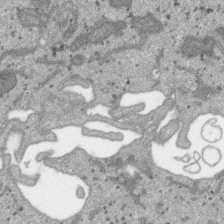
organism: Human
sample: Lung epithelial cells infected with SARS-CoV-2